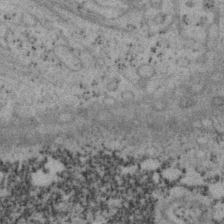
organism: Human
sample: HeLa cells